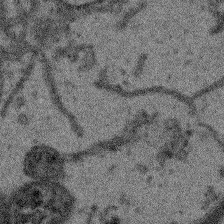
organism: Arabidopsis thaliana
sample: Root tip